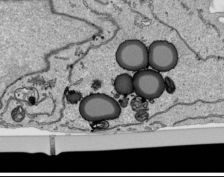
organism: Human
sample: Mitochondria in HCT116 cells